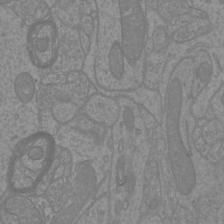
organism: Mouse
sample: Cortical neurons